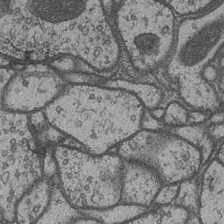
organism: Drosophila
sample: Optic medulla